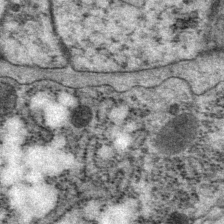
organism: P. pacificus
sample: Pharynx